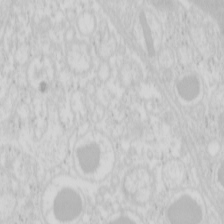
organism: Mouse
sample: Pancreas